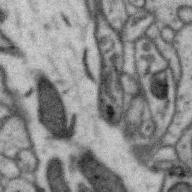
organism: Zebra finch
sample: Brain